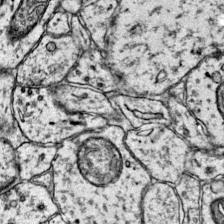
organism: Mouse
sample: Primary visual cortex